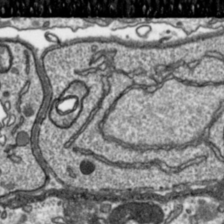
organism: Toxoplasma gondii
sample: Parasites in a vacuole inside a host cell